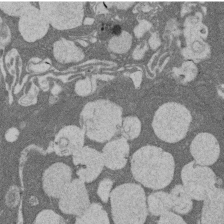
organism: Rat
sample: Salivary granule